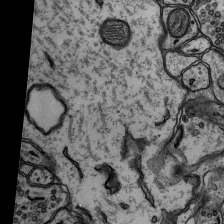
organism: Rat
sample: Hippocampus